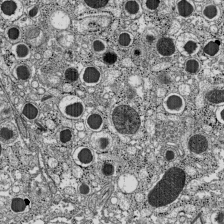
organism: C57BL Mouse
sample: Pancreatic islet